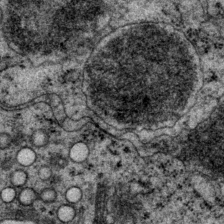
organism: P. pacificus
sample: Pharynx